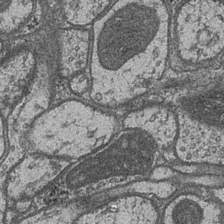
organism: Drosophila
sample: Optic medulla